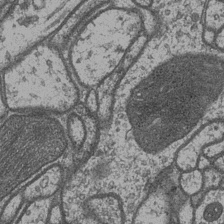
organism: Drosophila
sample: Optic medulla